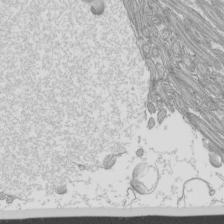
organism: Mouse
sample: Cilia; mouse epididymis